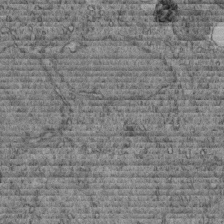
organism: C. elegans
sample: C. elegans embryo early stage